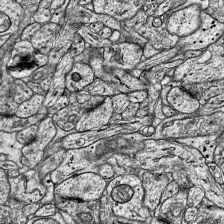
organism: Mouse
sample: Visual Cortex